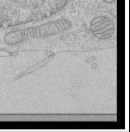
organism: Human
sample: Mitochondria in HCT116 cells